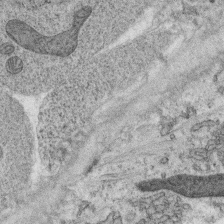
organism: C. elegans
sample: C. elegans oocyte; sperm cells